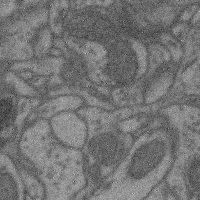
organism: Mouse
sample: Cerebral cortex